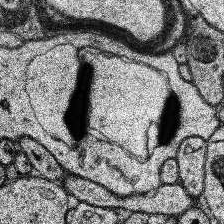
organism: Human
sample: Temporal Lobe